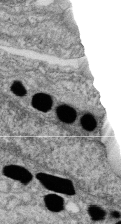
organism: Zebrafish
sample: Cilia; retinal pigment epithelium